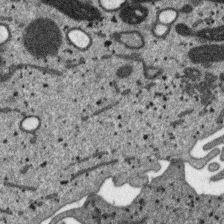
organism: Human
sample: Lung epithelial cells infected with SARS-CoV-2